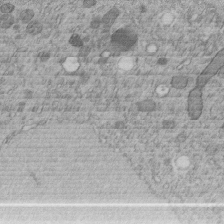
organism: C. elegans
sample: C. elegans embryo early stage